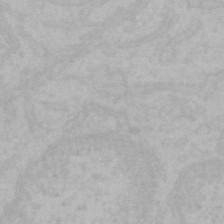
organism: Mouse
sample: Choroid plexus